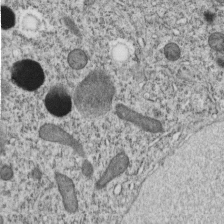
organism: C. elegans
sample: C. elegans embryo early stage